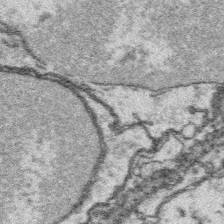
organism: Platynereis dumerilii